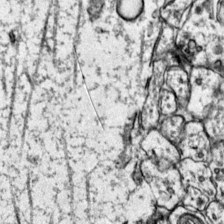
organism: Mouse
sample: Primary visual cortex